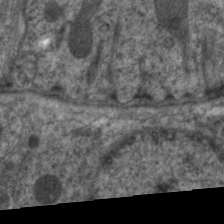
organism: C. elegans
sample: Pharynx